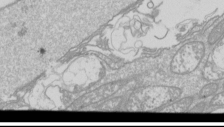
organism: Drosophila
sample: Cell division; meiosis; drosophila spermatocytes